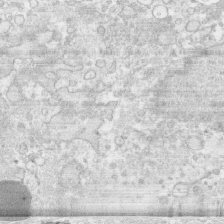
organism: Human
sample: CRL-1474